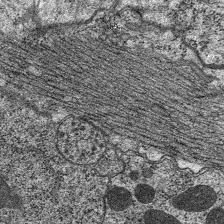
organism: C. elegans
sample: Pharynx